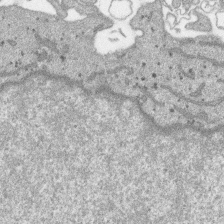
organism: Human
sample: Lung epithelial cells infected with SARS-CoV-2